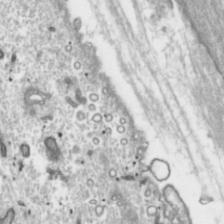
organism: Toxoplasma gondii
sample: Parasites in a vacuole inside a host cell